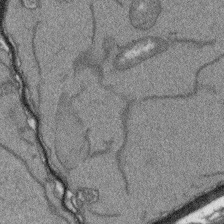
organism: Arabidopsis thaliana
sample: Root tip